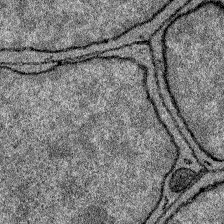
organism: Zebrafish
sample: Larval olfactory bulb